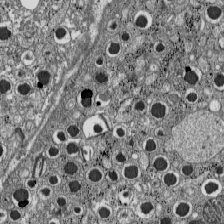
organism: C57BL Mouse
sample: Pancreatic islet